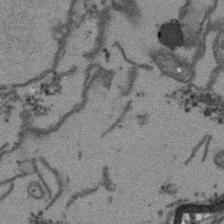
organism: Arabidopsis thaliana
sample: Root tip